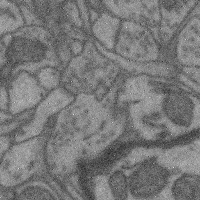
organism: Mouse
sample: Cerebral cortex